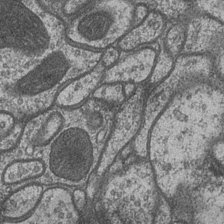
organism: Drosophila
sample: Optic medulla